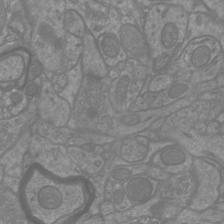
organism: Mouse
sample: Cortical neurons